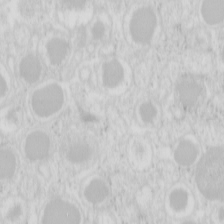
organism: Mouse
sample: Pancreas